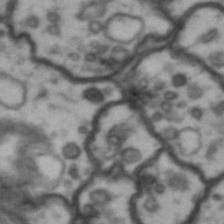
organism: Drosophila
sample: Brain